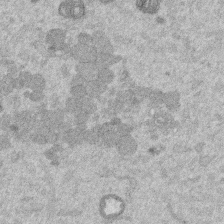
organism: Mouse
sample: Dividing mouse embryo 1 cell stage